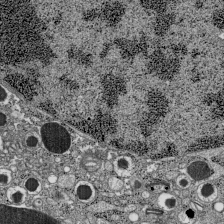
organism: C57BL Mouse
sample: Pancreatic islet